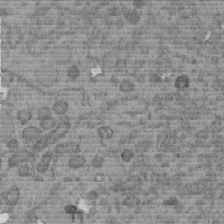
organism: C. elegans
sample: C. elegans embryo early stage